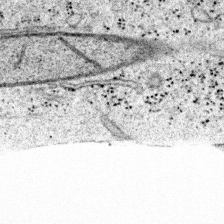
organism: Human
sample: HeLa cells